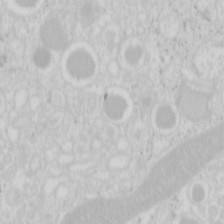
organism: Mouse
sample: Pancreas